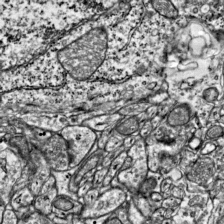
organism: Mouse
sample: Visual Cortex